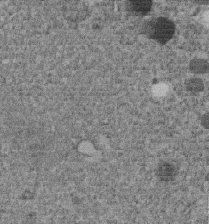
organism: C. elegans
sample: C. elegans embryo early stage